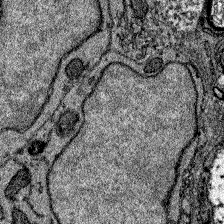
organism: Zebrafish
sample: Larval olfactory bulb